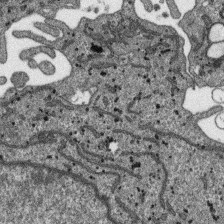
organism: Human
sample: Lung epithelial cells infected with SARS-CoV-2